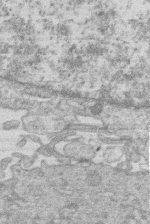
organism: Human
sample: Macrophage cells